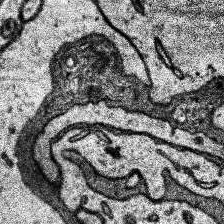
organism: Human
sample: Temporal Lobe